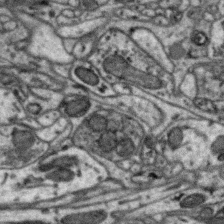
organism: Zebra finch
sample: Brain